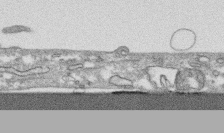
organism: Human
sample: CRL-1474